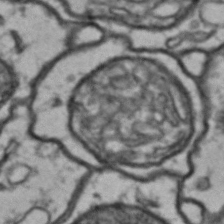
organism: Drosophila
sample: Brain